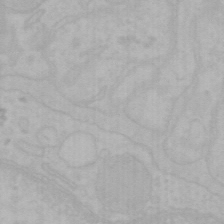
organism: Mouse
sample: Choroid plexus